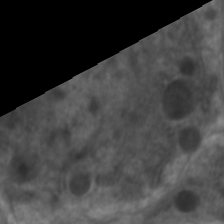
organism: C. elegans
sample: Pharynx